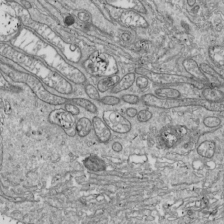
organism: Drosophila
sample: Cell division; meiosis; drosophila spermatocytes